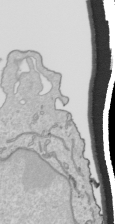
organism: Human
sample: Mitochondria in HCT116 cells